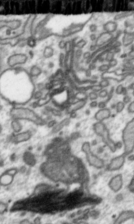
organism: Toxoplasma gondii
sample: Parasites in a vacuole inside a host cell